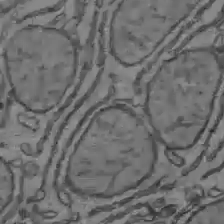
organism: C57BL Mouse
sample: Liver